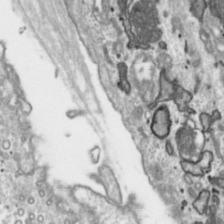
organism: Toxoplasma gondii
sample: Parasites in a vacuole inside a host cell